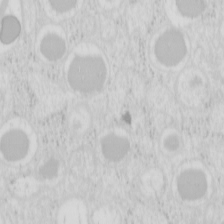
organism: Mouse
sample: Pancreas